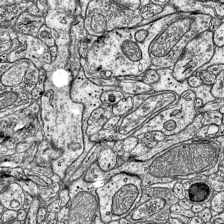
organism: Mouse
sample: Visual Cortex